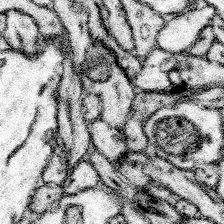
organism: Mouse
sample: Somatosensory cortex neuropil